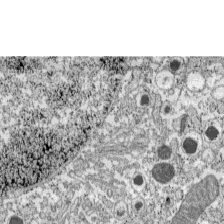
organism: C57BL Mouse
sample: Pancreatic islet